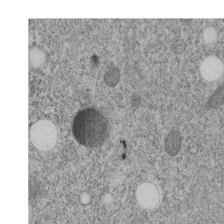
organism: C. elegans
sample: C. elegans embryo early stage